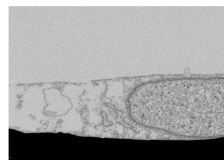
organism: Human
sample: Fibroblast cells